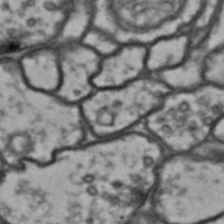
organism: Drosophila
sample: Brain